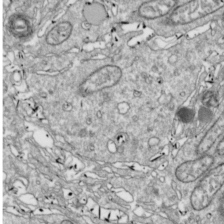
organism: Drosophila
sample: Cell division; meiosis; drosophila spermatocytes